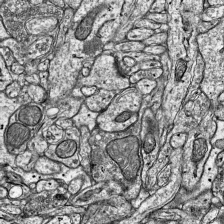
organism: Mouse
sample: Visual Cortex